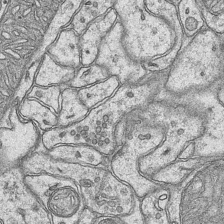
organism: Mouse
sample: CA1 Hippocampus